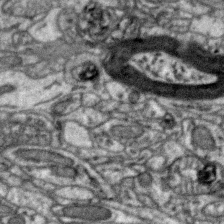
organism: Zebra finch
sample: Brain